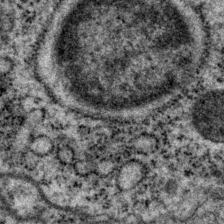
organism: P. pacificus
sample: Pharynx